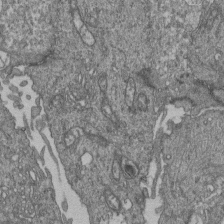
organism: Human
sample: Retinal organoid Rod and Cone cells